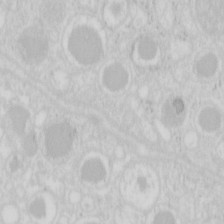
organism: Mouse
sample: Pancreas